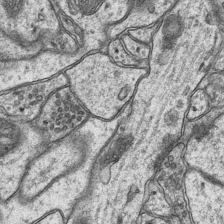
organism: Mouse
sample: CA1 Hippocampus